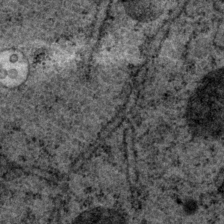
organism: P. pacificus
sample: Pharynx